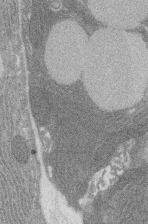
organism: Rat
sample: Salivary granule